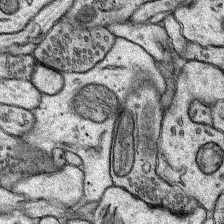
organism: Rat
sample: Hippocampus